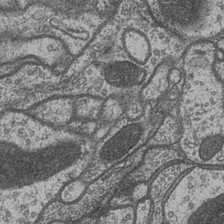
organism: Drosophila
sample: Optic medulla